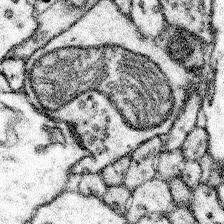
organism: Mouse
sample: Somatosensory cortex neuropil